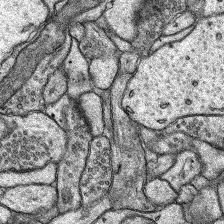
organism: Rat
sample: Hippocampus